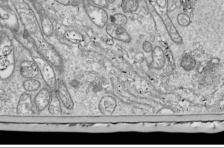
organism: Drosophila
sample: Cell division; meiosis; drosophila spermatocytes